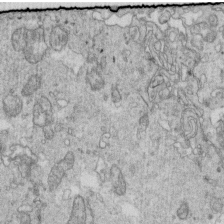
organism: Mouse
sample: Multiciliated cells